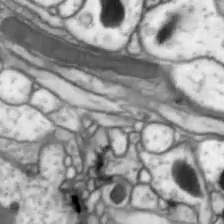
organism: Drosophila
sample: Optic lobe